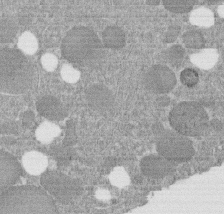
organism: C. elegans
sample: C. elegans embryo early stage